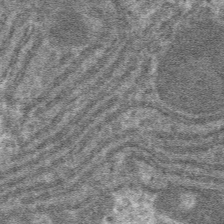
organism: Mouse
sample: Mouse hepatocytes